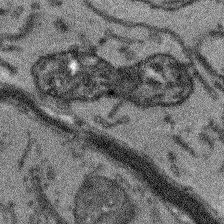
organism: Arabidopsis thaliana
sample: Root tip